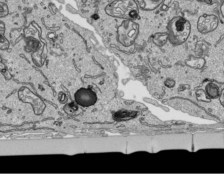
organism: Human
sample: Mitochondria in HCT116 cells